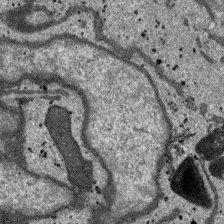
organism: Human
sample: Lung epithelial cells, uninfected (mock) control